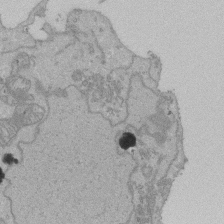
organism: Human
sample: Activated Jurkat CD4+ T cells